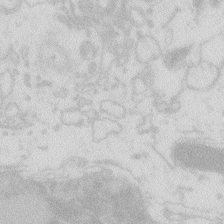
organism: Zebrafish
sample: Macrophage